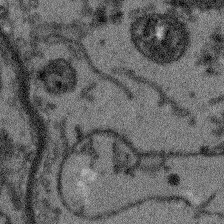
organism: Arabidopsis thaliana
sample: Root tip